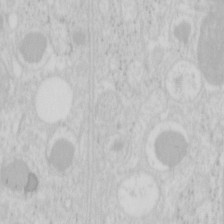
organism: Mouse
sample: Pancreas